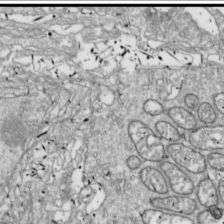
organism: Drosophila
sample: Cell division; meiosis; drosophila spermatocytes